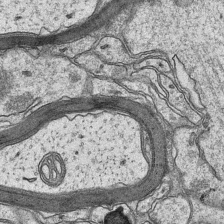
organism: Mouse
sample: CA1 Hippocampus